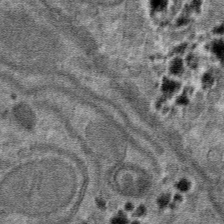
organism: Mouse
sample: Mouse hepatocytes